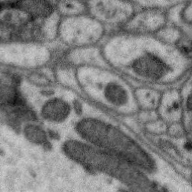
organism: Zebra finch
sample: Brain